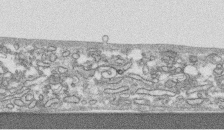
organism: Human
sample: CRL-1474